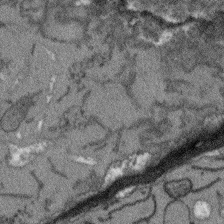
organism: Arabidopsis thaliana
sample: Root tip